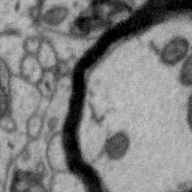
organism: Zebra finch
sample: Brain